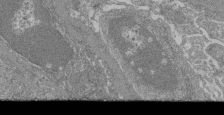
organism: Mouse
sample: Glomerulus